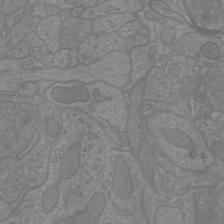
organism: Mouse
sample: Cortical neurons